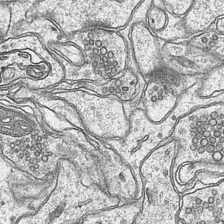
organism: Mouse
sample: CA1 Hippocampus